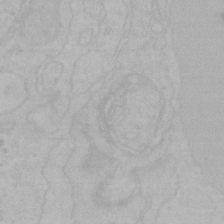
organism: Mouse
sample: Choroid plexus